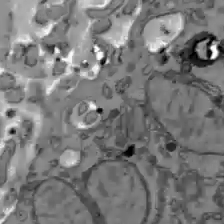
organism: C57BL Mouse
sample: Liver